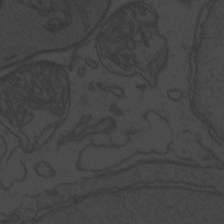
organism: Zebrafish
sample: Macrophage infected with Toxoplasma gondii